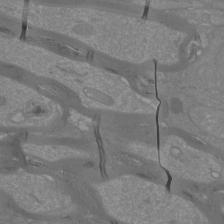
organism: Mouse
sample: Cortical neurons